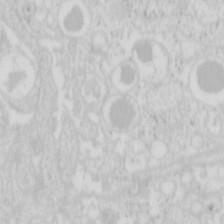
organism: Mouse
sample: Pancreas